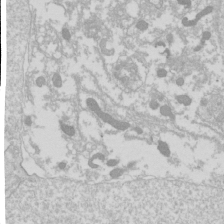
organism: Drosophila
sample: Cell division; meiosis; drosophila spermatocytes